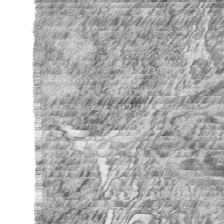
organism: Zebrafish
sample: synaptic ribbons in rod cells and cone cells